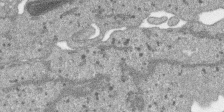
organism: Human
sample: Lung epithelial cells infected with SARS-CoV-2